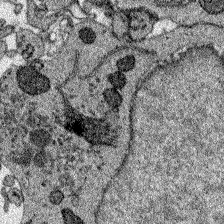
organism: Zebrafish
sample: Larval olfactory bulb